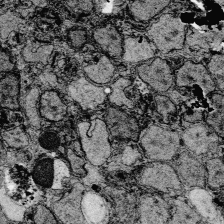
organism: Zebrafish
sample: Whole-Brain